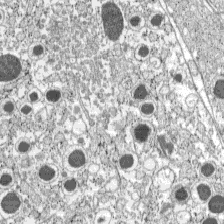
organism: C57BL Mouse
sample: Pancreatic islet